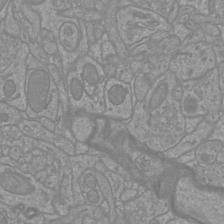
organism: Mouse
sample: Cortical neurons